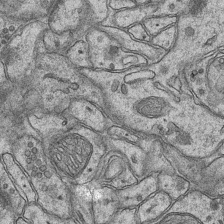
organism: Mouse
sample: CA1 Hippocampus